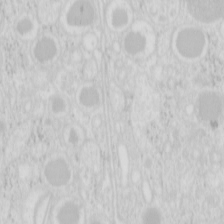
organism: Mouse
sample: Pancreas